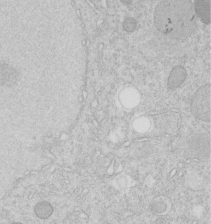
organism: C. elegans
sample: C. elegans embryo early stage